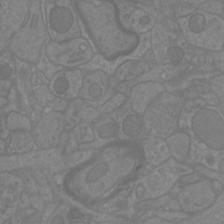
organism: Mouse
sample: Cortical neurons